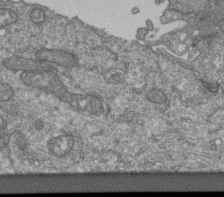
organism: Human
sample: Retinal organoid Rod and Cone cells